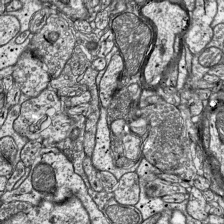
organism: Mouse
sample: Visual Cortex